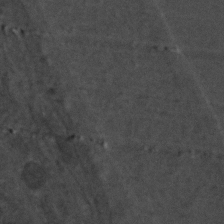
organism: C. elegans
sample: C. elegans embryo